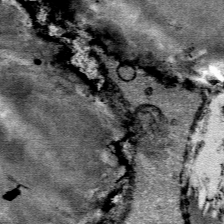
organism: Mouse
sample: Mouse Salivary gland